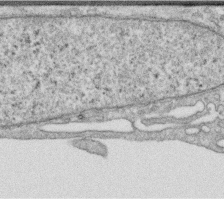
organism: Human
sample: Centriole in RPE cells